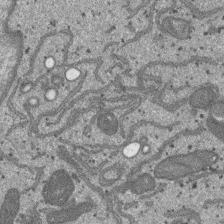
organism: Human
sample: Lung epithelial cells infected with SARS-CoV-2